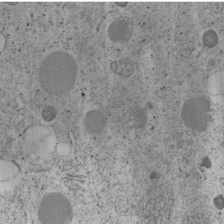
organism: C. elegans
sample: C. elegans embryo early stage